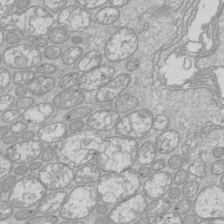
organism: Drosophila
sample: Cell division; meiosis; drosophila spermatocytes